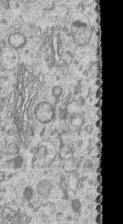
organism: Human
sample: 1205lu cells